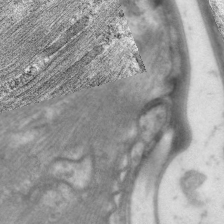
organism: C. elegans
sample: Pharynx